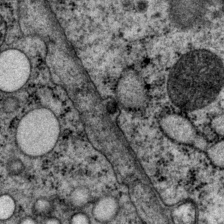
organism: P. pacificus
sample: Pharynx